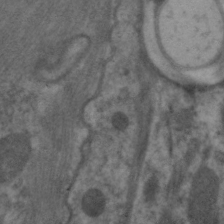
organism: C. elegans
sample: Pharynx